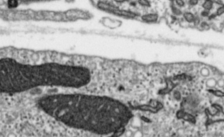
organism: Toxoplasma gondii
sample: Parasites in a vacuole inside a host cell